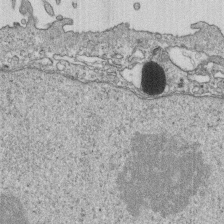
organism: Human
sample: HeLa cell HIV synapse